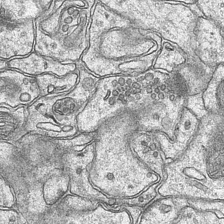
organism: Mouse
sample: CA1 Hippocampus